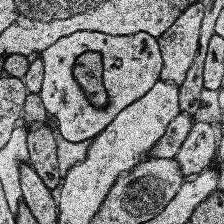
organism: Human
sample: Temporal Lobe